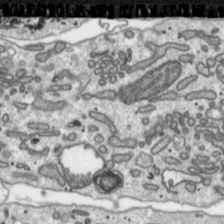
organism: Toxoplasma gondii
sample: Parasites in a vacuole inside a host cell